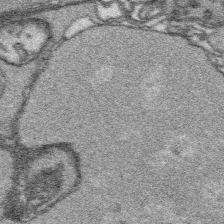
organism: Platynereis dumerilii